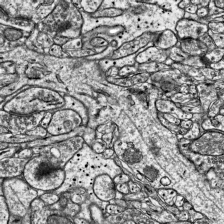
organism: Mouse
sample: Visual Cortex